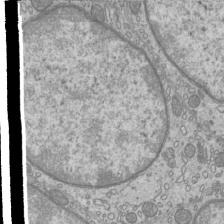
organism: Mouse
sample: Cilia; mouse epididymis